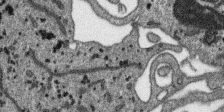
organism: Human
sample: Lung epithelial cells infected with SARS-CoV-2